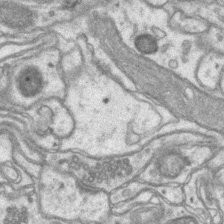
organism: Mouse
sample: CA1 Hippocampus